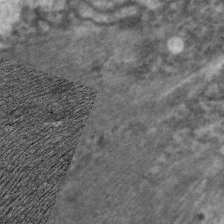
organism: C. elegans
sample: Pharynx